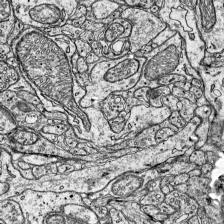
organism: Mouse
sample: Visual Cortex